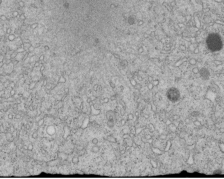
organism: C. elegans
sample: C. elegans embryo early stage